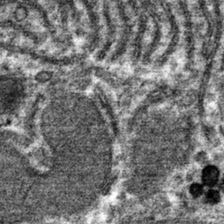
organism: Mouse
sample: Mouse hepatocytes